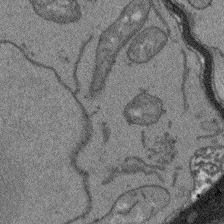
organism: Arabidopsis thaliana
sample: Root tip